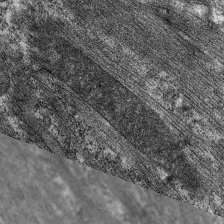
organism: C. elegans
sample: Pharynx